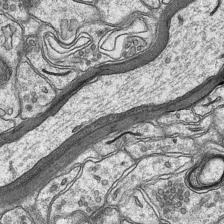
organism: Mouse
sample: CA1 Hippocampus